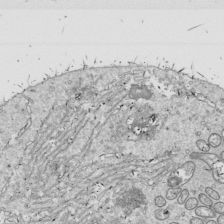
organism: Drosophila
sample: Cell division; meiosis; drosophila spermatocytes